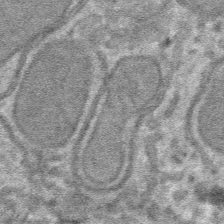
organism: Mouse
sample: Mouse hepatocytes